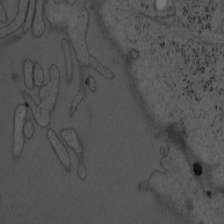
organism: Mouse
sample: OT-I killer T cells with ID8 ovarian cancer cells